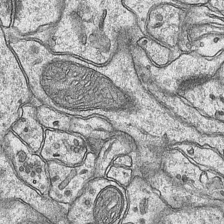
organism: Mouse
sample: CA1 Hippocampus